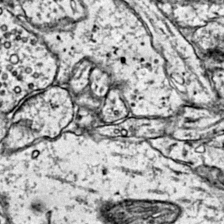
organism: Mouse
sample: Primary visual cortex